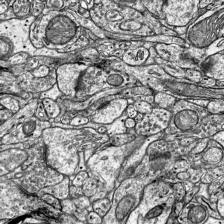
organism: Mouse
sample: Visual Cortex